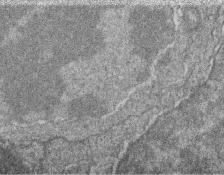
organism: Zebrafish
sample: Cilia; retinal pigment epithelium